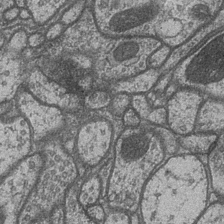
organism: Drosophila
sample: Optic medulla